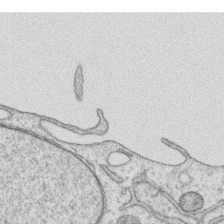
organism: Human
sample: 1205lu cells